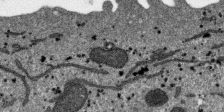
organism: Human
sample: Lung epithelial cells, uninfected (mock) control